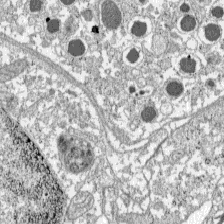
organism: C57BL Mouse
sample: Pancreatic islet